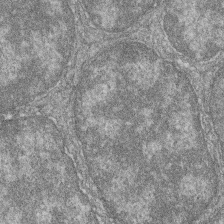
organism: Zebrafish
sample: Cilia; retinal pigment epithelium